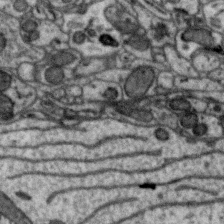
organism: Zebra finch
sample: Brain